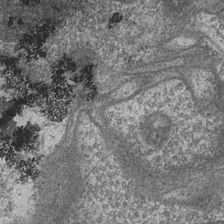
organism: Drosophila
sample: Optic medulla